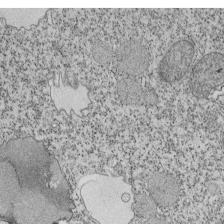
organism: Tetrahymena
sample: Cilia in tetrahymena